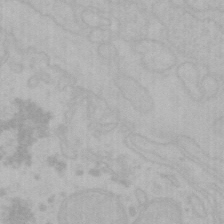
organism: Mouse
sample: Choroid plexus